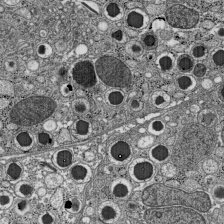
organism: C57BL Mouse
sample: Pancreatic islet